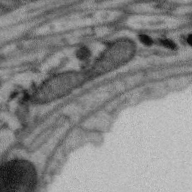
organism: Zebra finch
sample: Brain